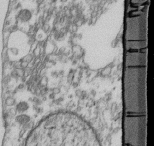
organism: Mouse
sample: Cilia; retinal pigment epithelium